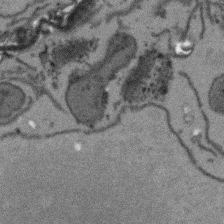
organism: Arabidopsis thaliana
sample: Root tip